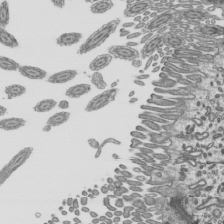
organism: Mouse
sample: Mouse epididymis efferent ductule cilia